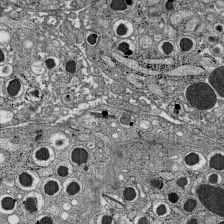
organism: C57BL Mouse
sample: Pancreatic islet